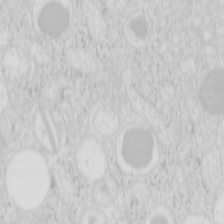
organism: Mouse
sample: Pancreas